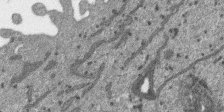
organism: Human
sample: Lung epithelial cells infected with SARS-CoV-2